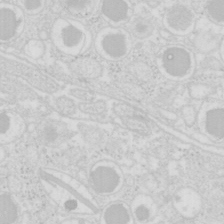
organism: Mouse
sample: Pancreas